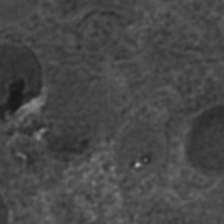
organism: C. elegans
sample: C. elegans embryo